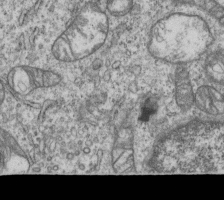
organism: Human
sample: MDA-MB-231 cells